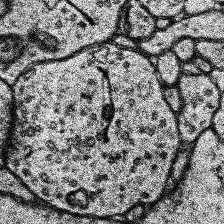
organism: Human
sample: Temporal Lobe